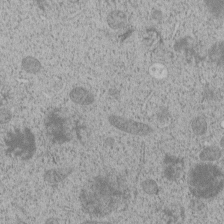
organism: C. elegans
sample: C. elegans embryo early stage